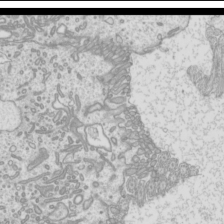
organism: Mouse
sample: Cilia; mouse epididymis